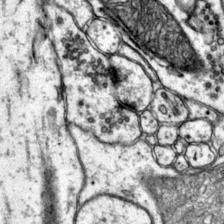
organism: Mouse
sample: Primary visual cortex